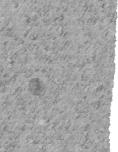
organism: C. elegans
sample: C. elegans embryo early stage